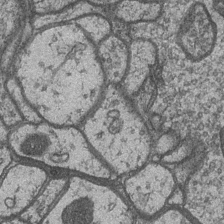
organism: Drosophila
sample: Optic medulla